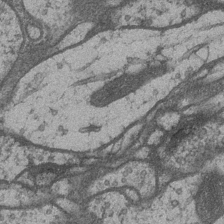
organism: Drosophila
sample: Optic medulla